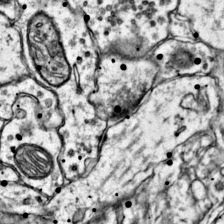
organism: Mouse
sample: Primary visual cortex